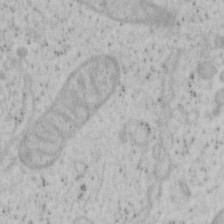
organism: Human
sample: HeLa cells